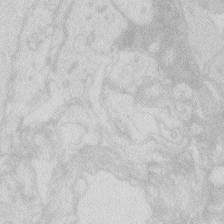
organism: Zebrafish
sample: Macrophage